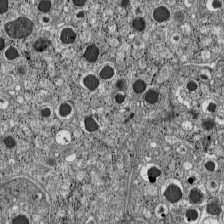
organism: C57BL Mouse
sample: Pancreatic islet